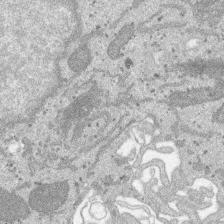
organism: Human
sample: Lung epithelial cells infected with SARS-CoV-2